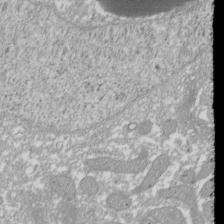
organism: Xenopus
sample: Cilia; centrioles in frog embryo cells